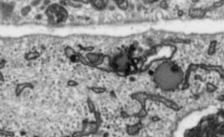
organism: Toxoplasma gondii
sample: Parasites in a vacuole inside a host cell